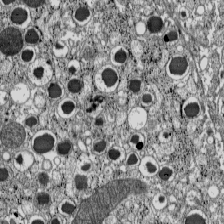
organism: C57BL Mouse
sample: Pancreatic islet